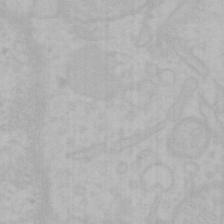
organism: Mouse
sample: Choroid plexus